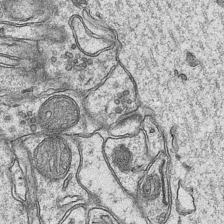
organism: Mouse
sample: CA1 Hippocampus